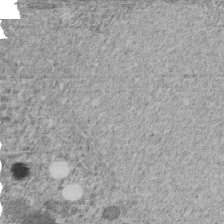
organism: C. elegans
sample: C. elegans embryo early stage